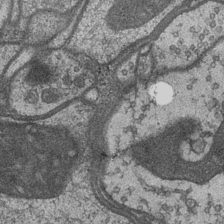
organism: Drosophila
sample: Optic medulla